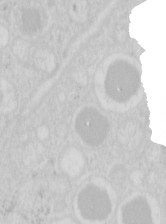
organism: Mouse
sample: Pancreas